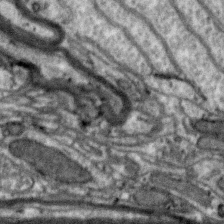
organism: Zebra finch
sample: Brain